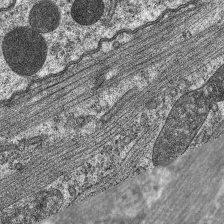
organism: C. elegans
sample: Pharynx